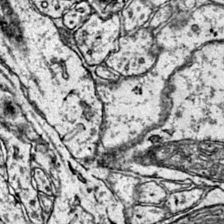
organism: Mouse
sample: Primary visual cortex